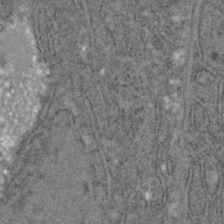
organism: C. elegans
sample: C. elegans embryo